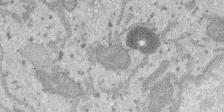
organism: Human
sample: Lung epithelial cells infected with SARS-CoV-2